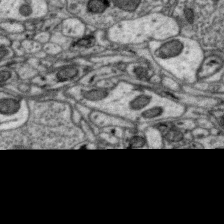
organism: Zebra finch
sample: Brain